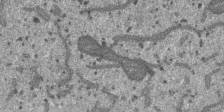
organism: Human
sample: Lung epithelial cells infected with SARS-CoV-2